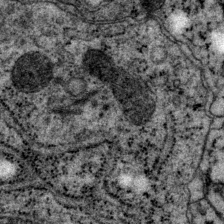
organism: P. pacificus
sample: Pharynx